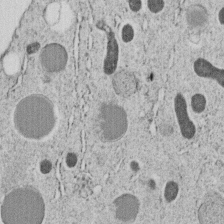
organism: C. elegans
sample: C. elegans embryo early stage